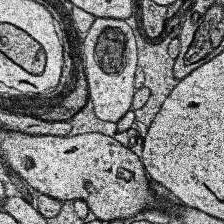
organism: Human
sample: Temporal Lobe